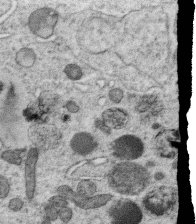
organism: C. elegans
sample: C. elegans oocyte; sperm cells